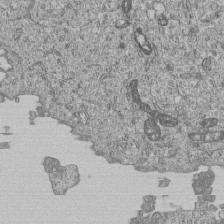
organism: Human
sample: MDA-MB-231 cells